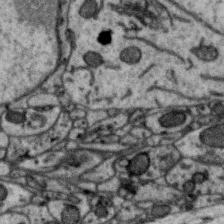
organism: Zebra finch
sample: Brain